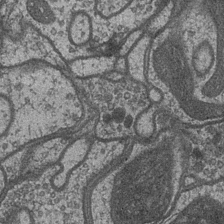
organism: Drosophila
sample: Optic medulla